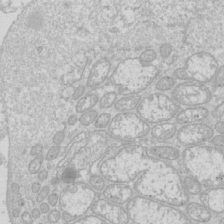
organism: Drosophila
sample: Cell division; meiosis; drosophila spermatocytes